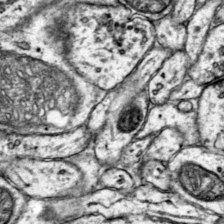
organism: Mouse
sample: Primary visual cortex